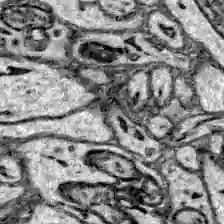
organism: Zebrafish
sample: Brain